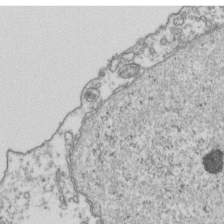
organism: Human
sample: Activated Jurkat CD4+ T cells